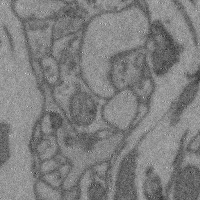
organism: Mouse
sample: Cerebral cortex